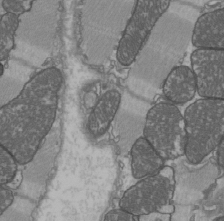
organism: C57BL Mouse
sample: Heart